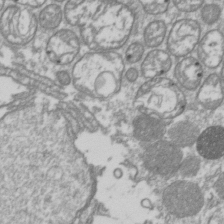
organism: Drosophila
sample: Cell division; meiosis; drosophila spermatocytes